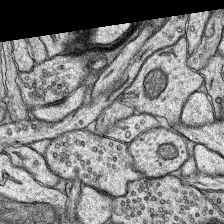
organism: Rat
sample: Hippocampus